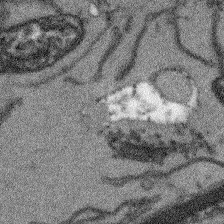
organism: Arabidopsis thaliana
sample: Root tip